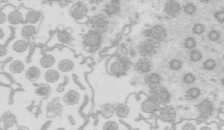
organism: Mouse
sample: Multiciliated cells